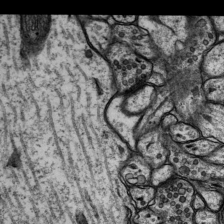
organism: Rat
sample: Hippocampus